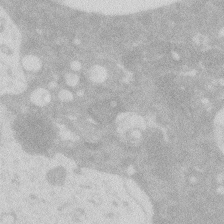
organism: Zebrafish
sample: Macrophage